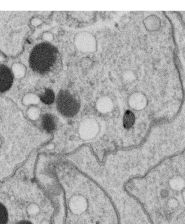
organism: C. elegans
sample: C. elegans oocyte; sperm cells